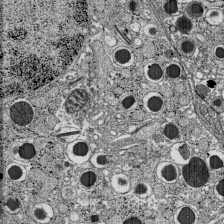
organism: C57BL Mouse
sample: Pancreatic islet